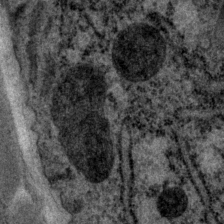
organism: P. pacificus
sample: Pharynx